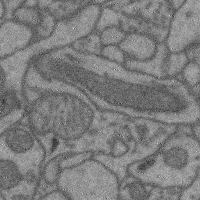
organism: Mouse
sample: Cerebral cortex